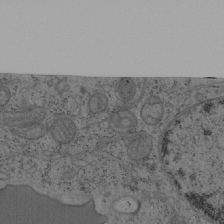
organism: Human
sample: HeLa cells